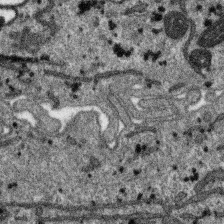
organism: Human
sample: Lung epithelial cells infected with SARS-CoV-2